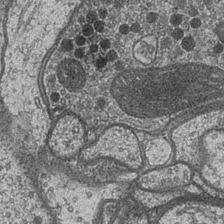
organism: Drosophila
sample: Optic medulla